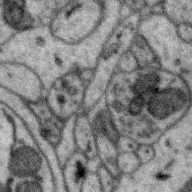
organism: Zebra finch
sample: Brain